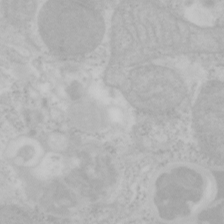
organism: Mouse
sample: OT-I killer T cells with ID8 ovarian cancer cells